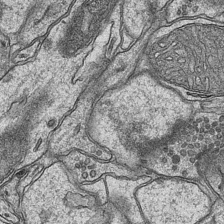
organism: Mouse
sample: CA1 Hippocampus